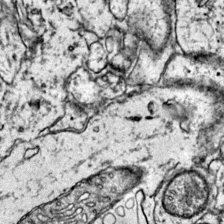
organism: Mouse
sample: Primary visual cortex